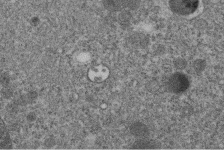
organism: C. elegans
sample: C. elegans embryo early stage